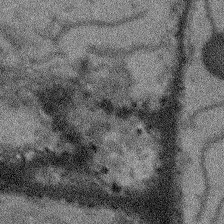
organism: Arabidopsis thaliana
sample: Root tip